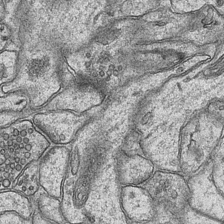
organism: Mouse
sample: CA1 Hippocampus